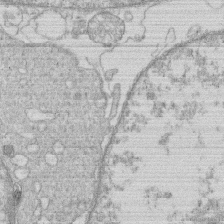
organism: Human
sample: Macrophage cells